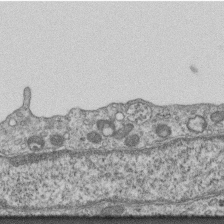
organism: Mouse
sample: Centriole in ependymal cells